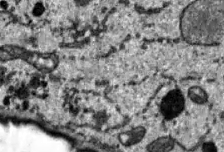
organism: Human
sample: HeLa cells